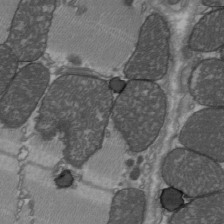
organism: C57BL Mouse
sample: Heart